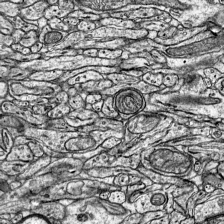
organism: Mouse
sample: Visual Cortex